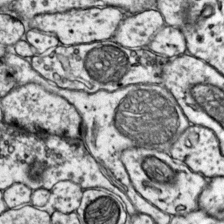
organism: Mouse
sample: Primary visual cortex